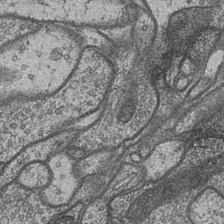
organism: Drosophila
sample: Optic medulla